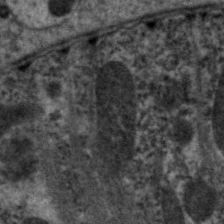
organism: C. elegans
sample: Pharynx